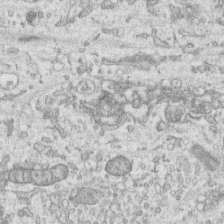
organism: Human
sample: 1205lu cells